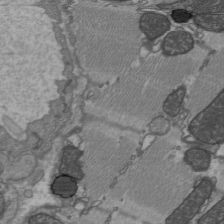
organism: C57BL Mouse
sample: Heart